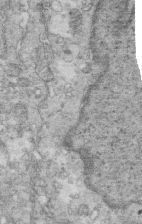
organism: Mouse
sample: Multiciliated cells